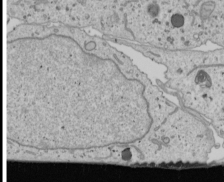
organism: Human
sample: Mitochondria in U2OS cells